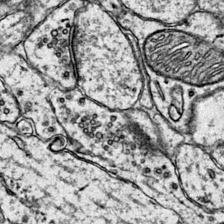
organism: Mouse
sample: Primary visual cortex